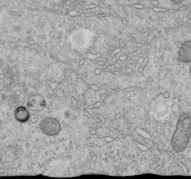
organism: C. elegans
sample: C. elegans embryo early stage